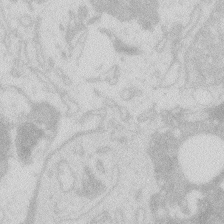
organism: Zebrafish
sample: Macrophage